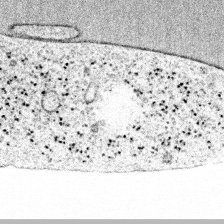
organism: Human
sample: HeLa cells